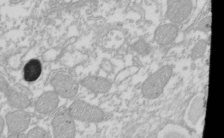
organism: Xenopus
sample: Cilia; centrioles in frog embryo cells